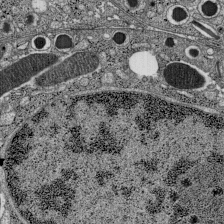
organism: C57BL Mouse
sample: Pancreatic islet